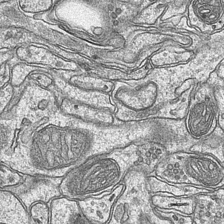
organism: Mouse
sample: CA1 Hippocampus